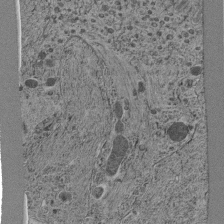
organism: C. elegans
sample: C. elegans pharynx